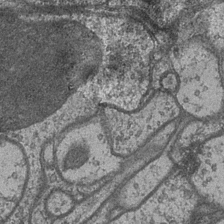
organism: Drosophila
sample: Optic medulla